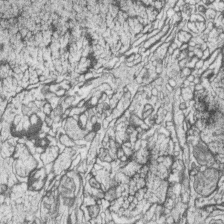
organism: Zebrafish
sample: synaptic ribbons in rod cells and cone cells